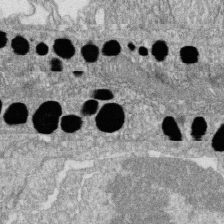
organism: Zebrafish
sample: Cilia; retinal pigment epithelium